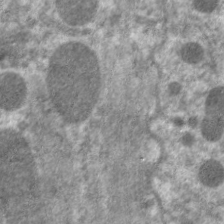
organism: C. elegans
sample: Pharynx